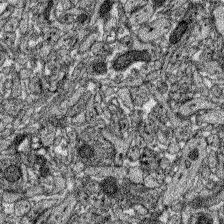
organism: Zebrafish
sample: Larval olfactory bulb